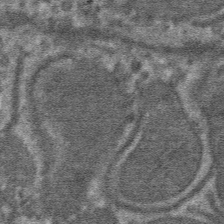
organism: Mouse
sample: Mouse hepatocytes